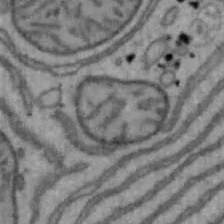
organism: Mouse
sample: Liver